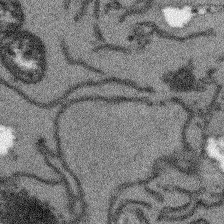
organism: Arabidopsis thaliana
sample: Root tip